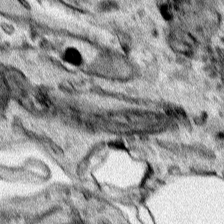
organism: Human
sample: Mitochondria in HCT116 cells